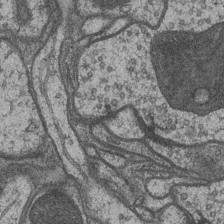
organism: Drosophila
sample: Optic medulla